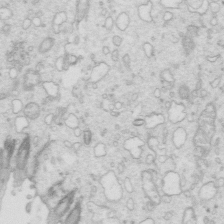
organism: Mouse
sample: Multiciliated cells